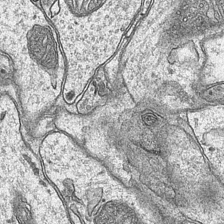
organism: Mouse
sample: CA1 Hippocampus